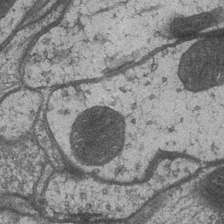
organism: Drosophila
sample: Optic medulla